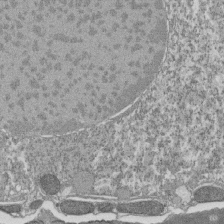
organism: Tetrahymena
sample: Cilia in tetrahymena